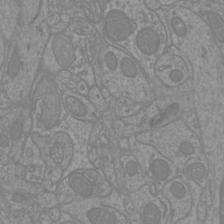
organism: Mouse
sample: Cortical neurons